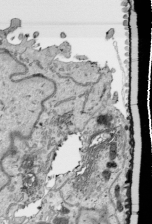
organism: Human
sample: Mitochondria in HCT116 cells